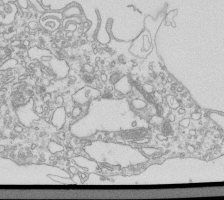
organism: Mouse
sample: Macrophages